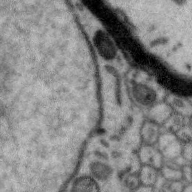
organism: Zebra finch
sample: Brain